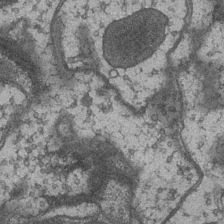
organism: Drosophila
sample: Optic medulla